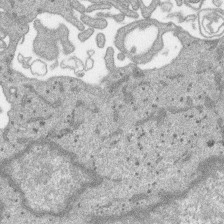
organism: Human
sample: Lung epithelial cells infected with SARS-CoV-2